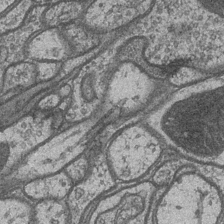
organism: Drosophila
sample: Optic medulla